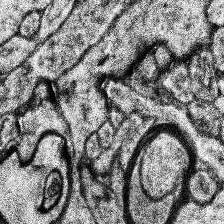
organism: Human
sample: Temporal Lobe